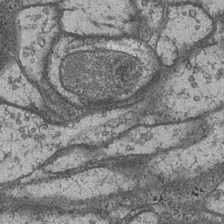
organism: Drosophila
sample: Optic medulla